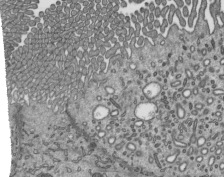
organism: Mouse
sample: Mouse epididymis efferent ductule cilia